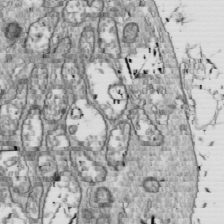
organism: Drosophila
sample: Cell division; meiosis; drosophila spermatocytes